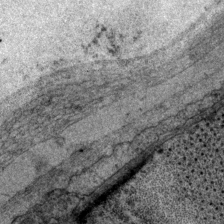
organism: P. pacificus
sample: Pharynx